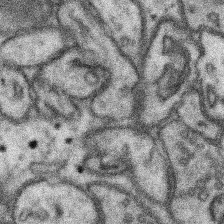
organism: Mouse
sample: Somatosensory cortex neuropil